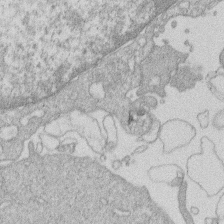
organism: Human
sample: Macrophage cells